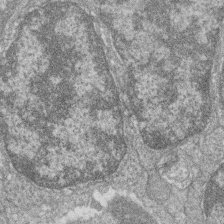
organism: Zebrafish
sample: Cilia; retinal pigment epithelium